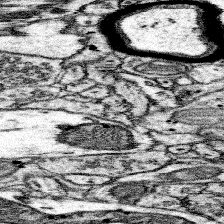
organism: Mouse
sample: Somatosensory cortex neuropil